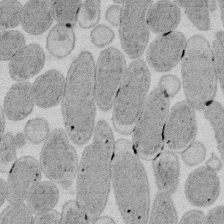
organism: E. coli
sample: Bacterial nucleoid